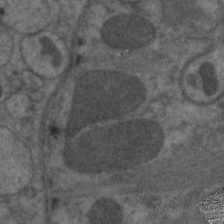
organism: C. elegans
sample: Pharynx